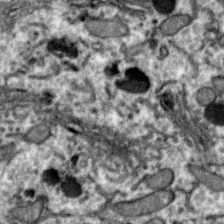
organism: Zebra finch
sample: Brain